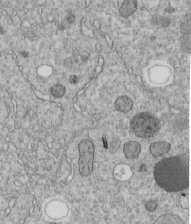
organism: C. elegans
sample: C. elegans embryo early stage